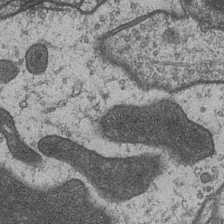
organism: Drosophila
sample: Optic medulla